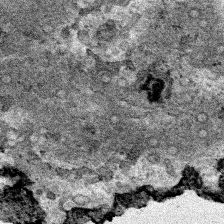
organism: Human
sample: Mitochondria in HCT116 cells